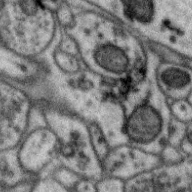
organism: Zebra finch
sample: Brain